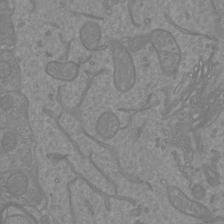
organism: Mouse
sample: Cortical neurons